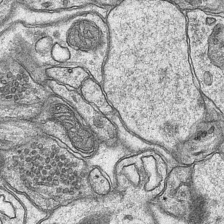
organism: Mouse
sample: CA1 Hippocampus